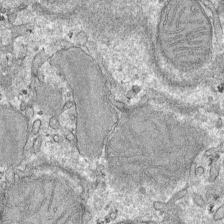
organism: Mouse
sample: Mouse hepatocytes